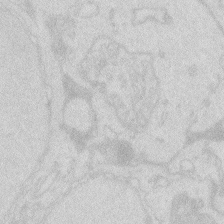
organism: Zebrafish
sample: Macrophage